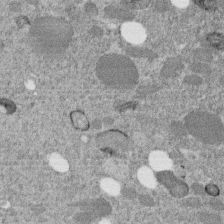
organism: C. elegans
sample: C. elegans embryo early stage